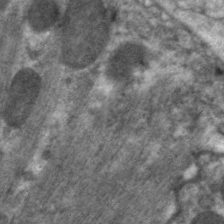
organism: C. elegans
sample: Pharynx